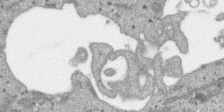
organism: Human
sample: Lung epithelial cells infected with SARS-CoV-2